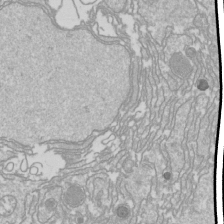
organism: Drosophila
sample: Cell division; meiosis; drosophila spermatocytes